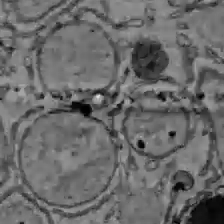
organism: C57BL Mouse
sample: Liver